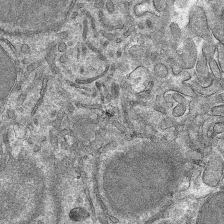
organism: Mouse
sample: Mouse hepatocytes